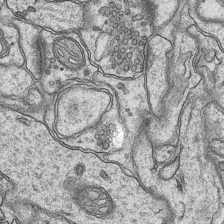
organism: Mouse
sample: CA1 Hippocampus